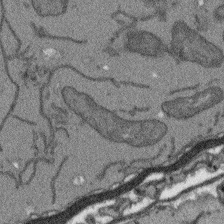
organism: Arabidopsis thaliana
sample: Root tip